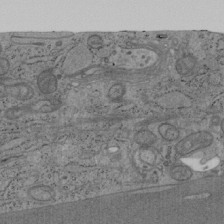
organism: Human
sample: HeLa cells